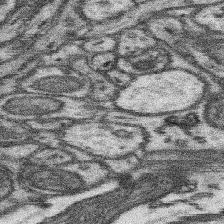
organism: Mouse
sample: Somatosensory cortex neuropil